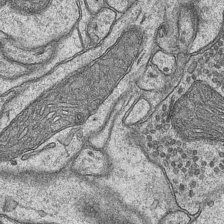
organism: Mouse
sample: CA1 Hippocampus